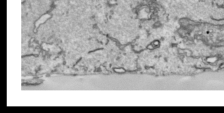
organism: Human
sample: Mitochondria in HCT116 cells